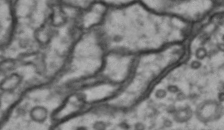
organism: Drosophila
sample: Brain